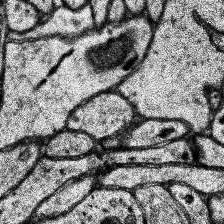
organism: Human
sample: Temporal Lobe